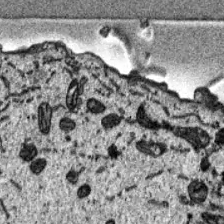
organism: Human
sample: HeLa cells